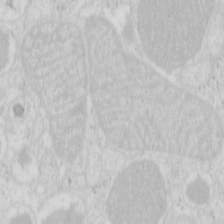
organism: Mouse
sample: Pancreas